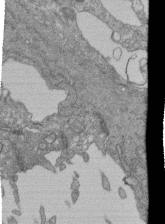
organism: Human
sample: Retinal organoid Rod and Cone cells